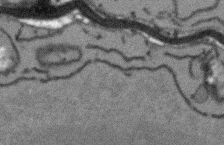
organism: Arabidopsis thaliana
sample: Root tip